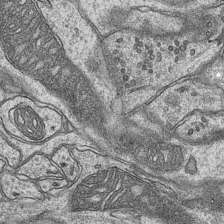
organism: Mouse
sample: CA1 Hippocampus